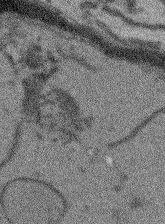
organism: Arabidopsis thaliana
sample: Root tip